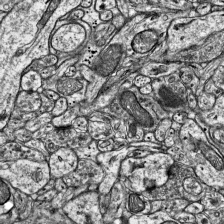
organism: Mouse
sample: Visual Cortex